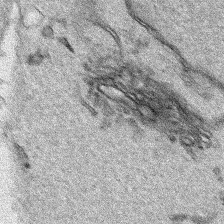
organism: Human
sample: Mitochondria in HCT116 cells